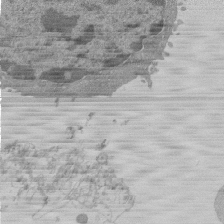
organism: Mouse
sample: Activated Pmel transgenic CD8+ T Cells